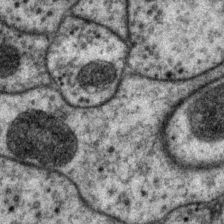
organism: P. pacificus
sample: Pharynx